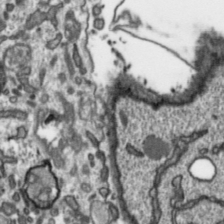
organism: Toxoplasma gondii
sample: Parasites in a vacuole inside a host cell